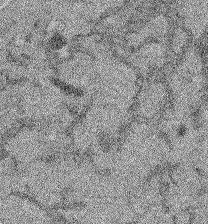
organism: Human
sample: HeLa cells